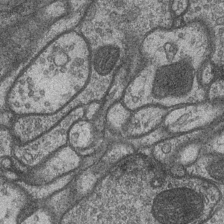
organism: Drosophila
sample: Optic medulla